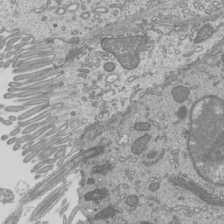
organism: Mouse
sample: Cilia; mouse epididymis